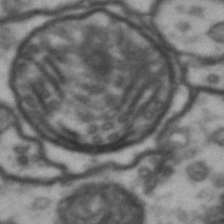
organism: Drosophila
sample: Brain